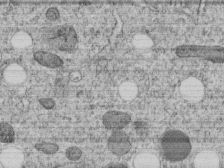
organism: C. elegans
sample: C. elegans embryo early stage